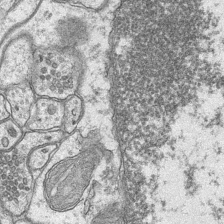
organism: Mouse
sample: CA1 Hippocampus